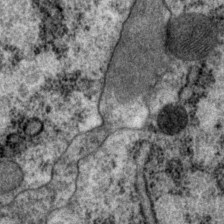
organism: P. pacificus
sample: Pharynx